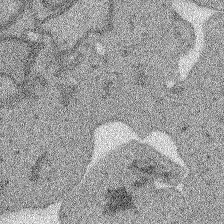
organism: Human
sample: HeLa cells